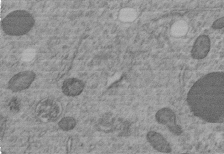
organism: C. elegans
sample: C. elegans embryo early stage